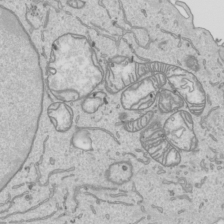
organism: Human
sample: Mitochondria in HCT116 cells